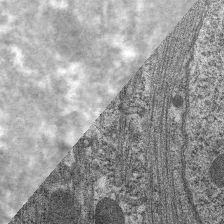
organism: C. elegans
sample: Pharynx